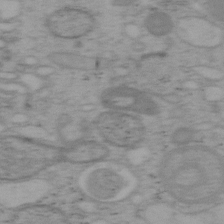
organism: Mouse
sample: OT-I killer T cells with ID8 ovarian cancer cells